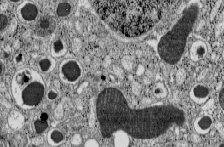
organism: C57BL Mouse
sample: Pancreatic islet